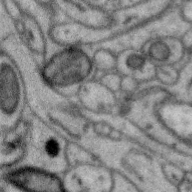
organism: Zebra finch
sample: Brain